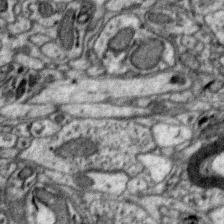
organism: Zebra finch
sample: Brain